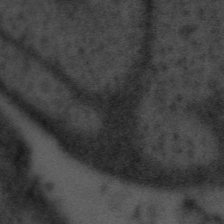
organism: Tuwongella immobilis